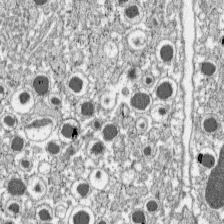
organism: C57BL Mouse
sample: Pancreatic islet